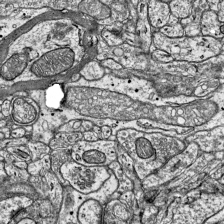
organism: Mouse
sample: Visual Cortex